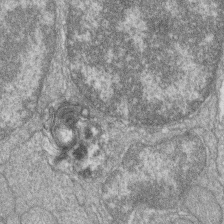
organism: Zebrafish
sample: Cilia; retinal pigment epithelium